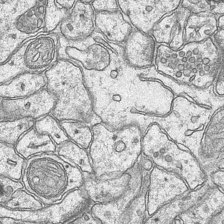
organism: Mouse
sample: CA1 Hippocampus